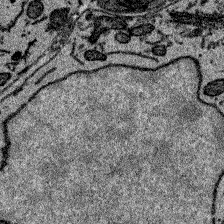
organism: Zebrafish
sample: Larval olfactory bulb